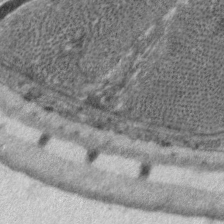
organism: C. elegans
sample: Pharynx